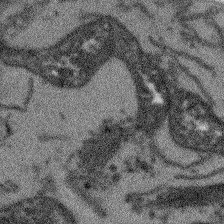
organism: Arabidopsis thaliana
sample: Root tip